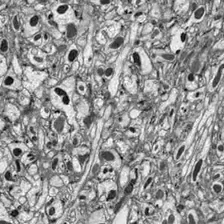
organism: Drosophila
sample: Optic lobe